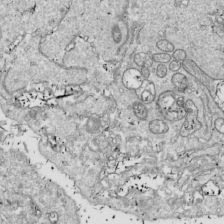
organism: Drosophila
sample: Cell division; meiosis; drosophila spermatocytes